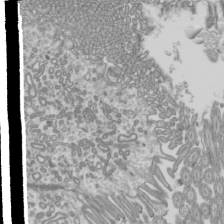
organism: Mouse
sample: Cilia; mouse epididymis